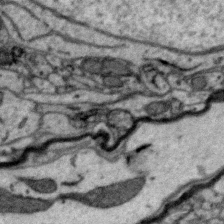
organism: Zebra finch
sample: Brain